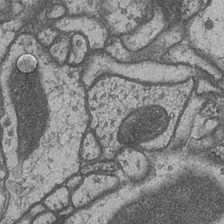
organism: Drosophila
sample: Optic medulla